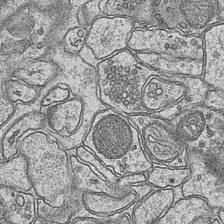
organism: Mouse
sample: CA1 Hippocampus